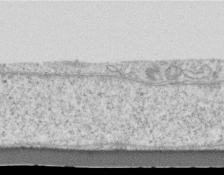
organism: Mouse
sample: Centriole in ependymal cells